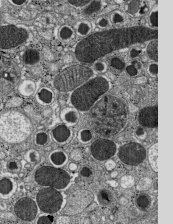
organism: C57BL Mouse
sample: Pancreatic islet